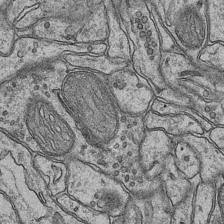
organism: Mouse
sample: CA1 Hippocampus